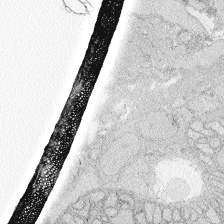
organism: Zebrafish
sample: Whole-Brain